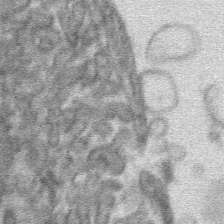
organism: Mouse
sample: Mouse hepatocytes